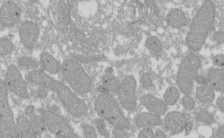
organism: Xenopus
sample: Cilia; centrioles in frog embryo cells